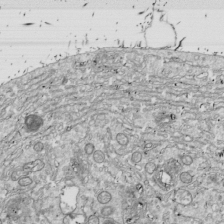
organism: Drosophila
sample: Cell division; meiosis; drosophila spermatocytes